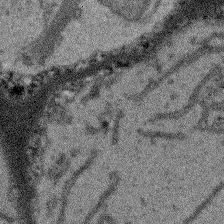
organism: Arabidopsis thaliana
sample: Root tip